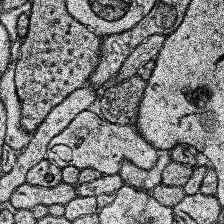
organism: Human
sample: Temporal Lobe